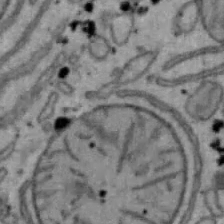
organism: Mouse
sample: Liver